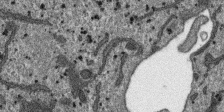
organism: Human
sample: Lung epithelial cells infected with SARS-CoV-2